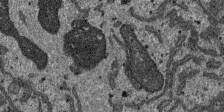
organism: Human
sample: Lung epithelial cells infected with SARS-CoV-2